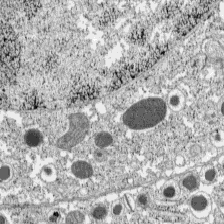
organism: C57BL Mouse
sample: Pancreatic islet